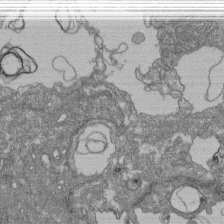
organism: Human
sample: Retinal organoid Rod and Cone cells